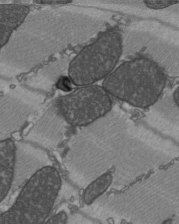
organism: C57BL Mouse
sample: Heart